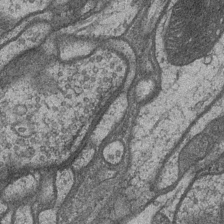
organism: Drosophila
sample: Optic medulla